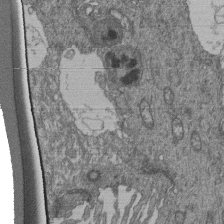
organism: Human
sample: Retinal organoid Rod and Cone cells